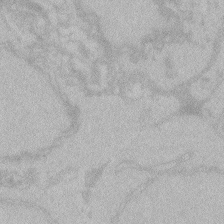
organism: Zebrafish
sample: Macrophage infected with Toxoplasma gondii